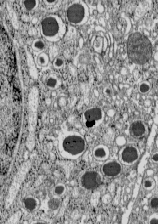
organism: C57BL Mouse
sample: Pancreatic islet